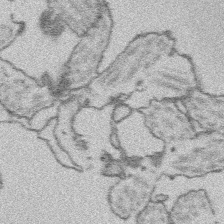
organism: Platynereis dumerilii